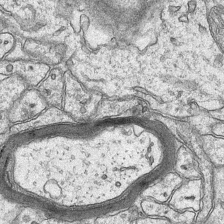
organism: Mouse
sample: CA1 Hippocampus